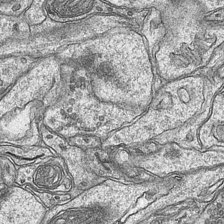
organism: Mouse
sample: CA1 Hippocampus